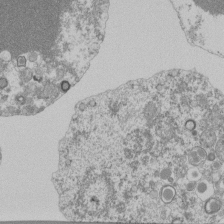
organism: Mouse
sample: Activated Pmel transgenic CD8+ T Cells